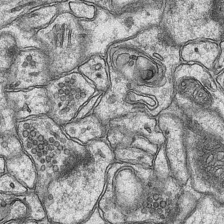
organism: Mouse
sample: CA1 Hippocampus